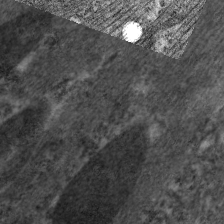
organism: C. elegans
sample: Pharynx